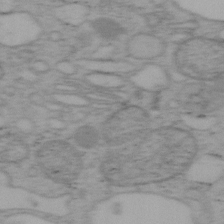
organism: Mouse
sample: OT-I killer T cells with ID8 ovarian cancer cells